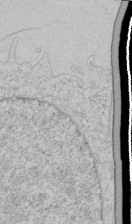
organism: Human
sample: Mitochondria in HCT116 cells